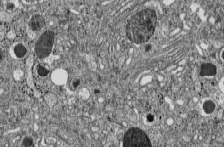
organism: C57BL Mouse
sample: Pancreatic islet